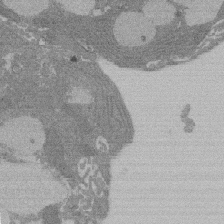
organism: Rat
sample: Salivary granule